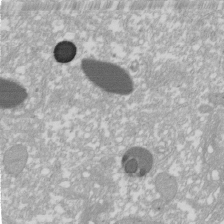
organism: Xenopus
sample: Cilia; centrioles in frog embryo cells